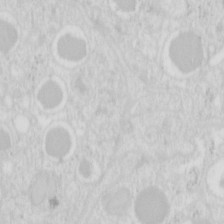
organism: Mouse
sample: Pancreas